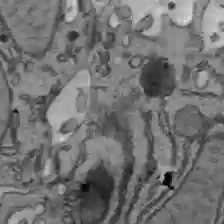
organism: C57BL Mouse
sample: Liver